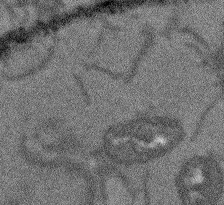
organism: Arabidopsis thaliana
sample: Root tip